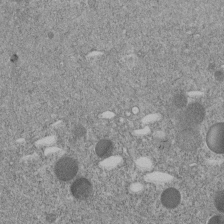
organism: C. elegans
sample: C. elegans embryo early stage